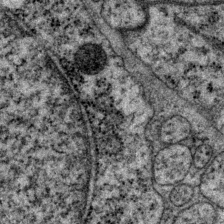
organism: P. pacificus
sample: Pharynx